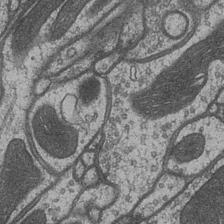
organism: Drosophila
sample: Optic medulla